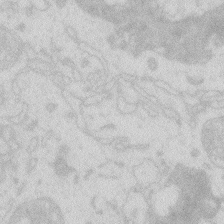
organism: Zebrafish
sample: Macrophage